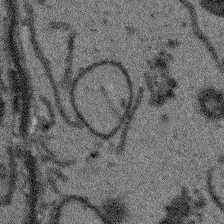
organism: Arabidopsis thaliana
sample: Root tip